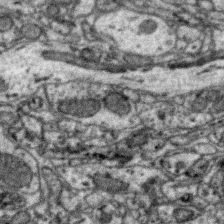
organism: Zebra finch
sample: Brain